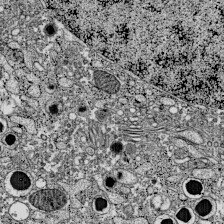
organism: C57BL Mouse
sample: Pancreatic islet